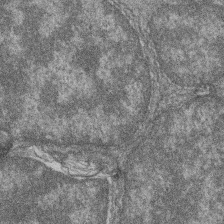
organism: Zebrafish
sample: Cilia; retinal pigment epithelium